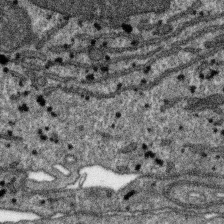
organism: Human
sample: Lung epithelial cells infected with SARS-CoV-2